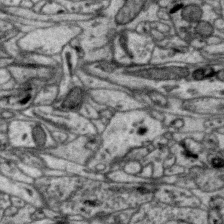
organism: Zebra finch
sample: Brain